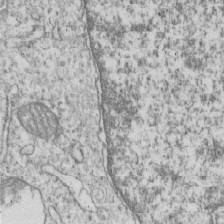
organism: Human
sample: MDA-MB-231 cells